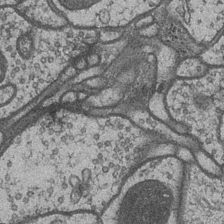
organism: Drosophila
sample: Optic medulla